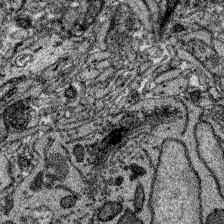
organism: Zebrafish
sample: Larval olfactory bulb